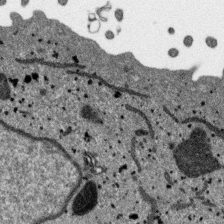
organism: Human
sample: Lung epithelial cells, uninfected (mock) control